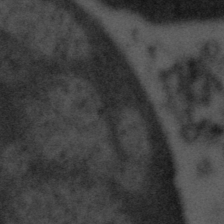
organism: Tuwongella immobilis